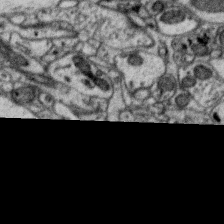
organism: Zebra finch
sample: Brain